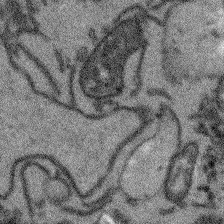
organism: Arabidopsis thaliana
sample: Root tip